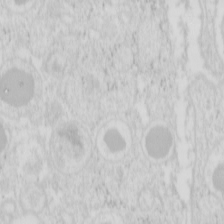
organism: Mouse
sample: Pancreas